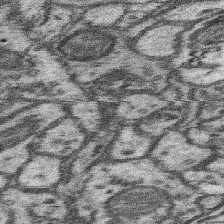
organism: Mouse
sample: Somatosensory cortex neuropil